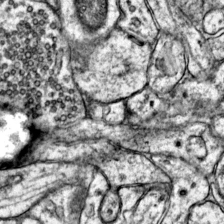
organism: Mouse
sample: Primary visual cortex